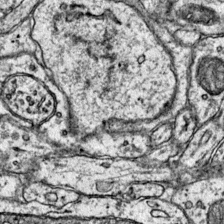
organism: Mouse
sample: Primary visual cortex